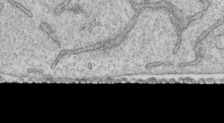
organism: Human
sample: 1205lu cells